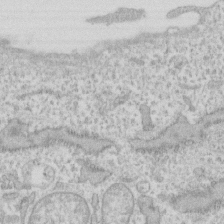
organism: Human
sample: Fibroblast cells